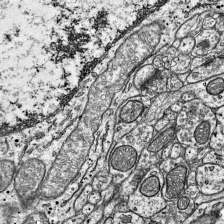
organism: Mouse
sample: Visual Cortex